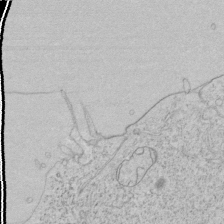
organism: Human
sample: Mitochondria in HCT116 cells